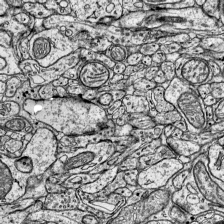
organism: Mouse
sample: Visual Cortex